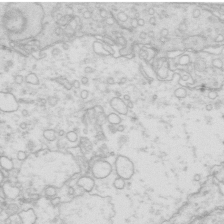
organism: Mouse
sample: Multiciliated cells